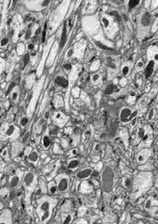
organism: Drosophila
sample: Optic lobe